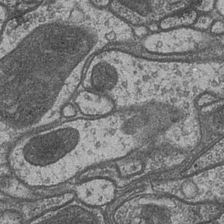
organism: Drosophila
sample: Optic medulla